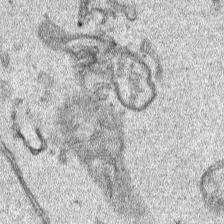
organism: Human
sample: Mitochondria in HCT116 cells